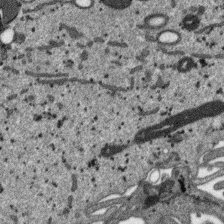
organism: Human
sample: Lung epithelial cells infected with SARS-CoV-2